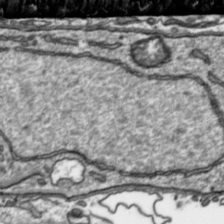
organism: Toxoplasma gondii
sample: Parasites in a vacuole inside a host cell